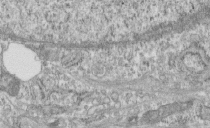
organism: Human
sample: Centriole in fibroblast cells